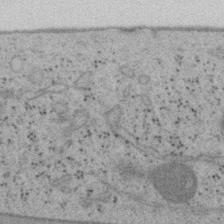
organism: Human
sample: HeLa cells